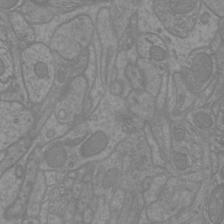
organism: Mouse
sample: Cortical neurons